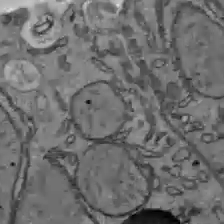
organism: C57BL Mouse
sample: Liver